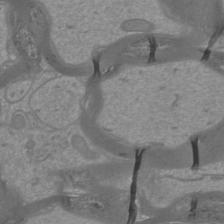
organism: Mouse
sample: Cortical neurons